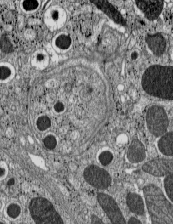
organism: C57BL Mouse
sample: Pancreatic islet